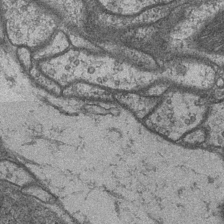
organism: Drosophila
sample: Optic medulla